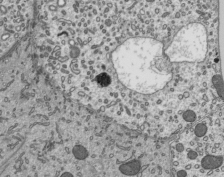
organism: Mouse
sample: Mouse epididymis efferent ductule cilia